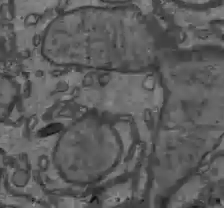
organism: C57BL Mouse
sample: Liver